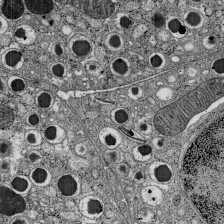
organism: C57BL Mouse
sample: Pancreatic islet